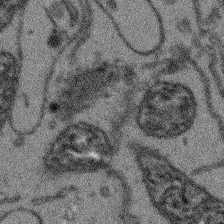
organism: Arabidopsis thaliana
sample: Root tip